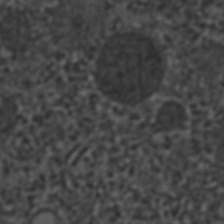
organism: C. elegans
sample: C. elegans embryo